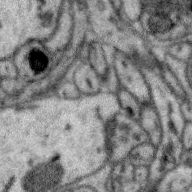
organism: Zebra finch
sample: Brain